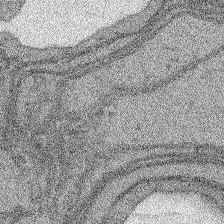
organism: Human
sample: HeLa cells